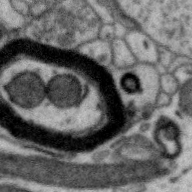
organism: Zebra finch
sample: Brain